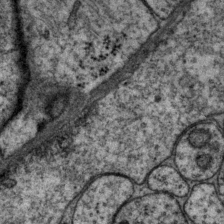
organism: P. pacificus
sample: Pharynx